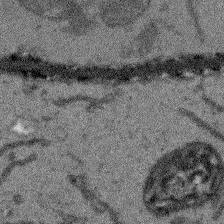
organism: Arabidopsis thaliana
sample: Root tip